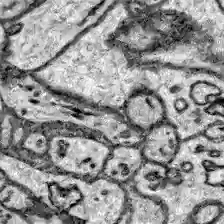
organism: Zebrafish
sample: Brain